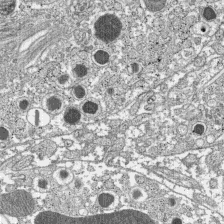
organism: C57BL Mouse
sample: Pancreatic islet